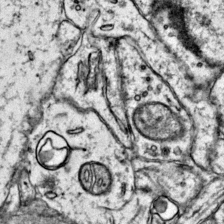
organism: Mouse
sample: Primary visual cortex